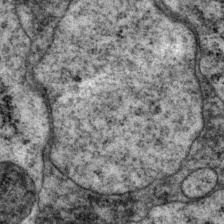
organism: P. pacificus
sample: Pharynx